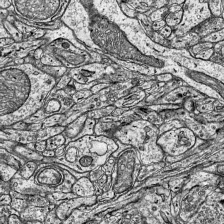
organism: Mouse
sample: Visual Cortex